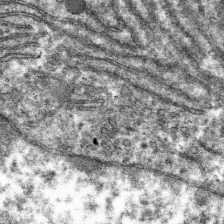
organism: Mouse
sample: Mouse hepatocytes